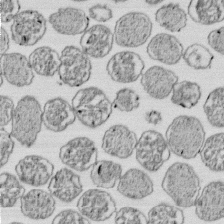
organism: E. coli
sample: Bacterial nucleoid